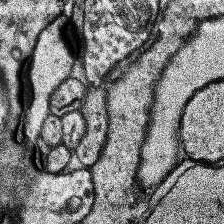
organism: Human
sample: Temporal Lobe